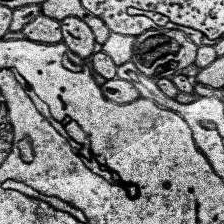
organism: Human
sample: Temporal Lobe